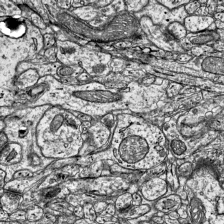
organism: Mouse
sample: Visual Cortex